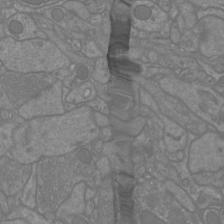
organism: Mouse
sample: Cortical neurons